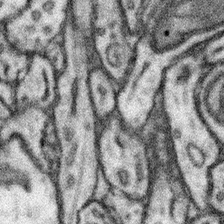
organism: Mouse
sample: Somatosensory cortex neuropil